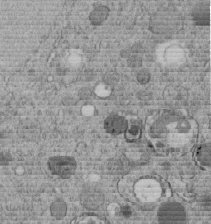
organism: C. elegans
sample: C. elegans embryo early stage